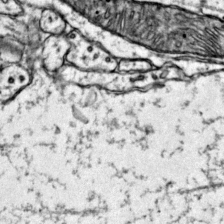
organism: Mouse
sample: Primary visual cortex